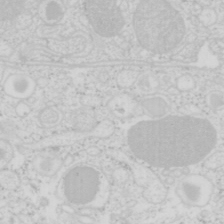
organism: Mouse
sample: Pancreas